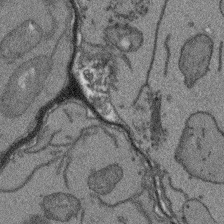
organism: Arabidopsis thaliana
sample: Root tip